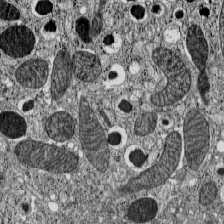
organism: C57BL Mouse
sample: Pancreatic islet